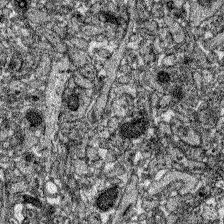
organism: Zebrafish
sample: Larval olfactory bulb